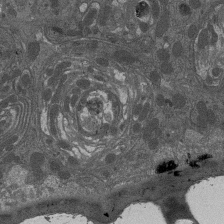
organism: Drosophila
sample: Antenna